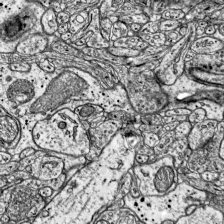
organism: Mouse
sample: Visual Cortex